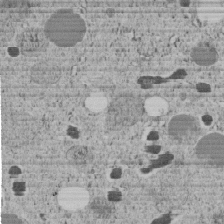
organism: C. elegans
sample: C. elegans embryo early stage